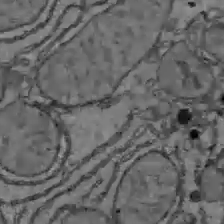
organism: C57BL Mouse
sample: Liver